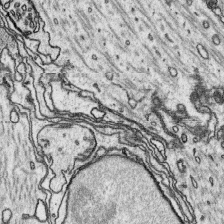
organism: Platynereis dumerilii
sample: Parapodia